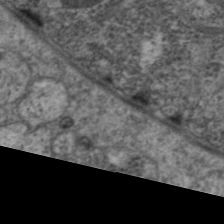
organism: C. elegans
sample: Pharynx